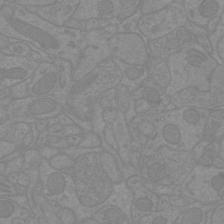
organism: Mouse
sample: Cortical neurons